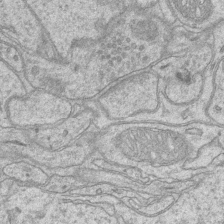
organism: Mouse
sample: CA1 Hippocampus